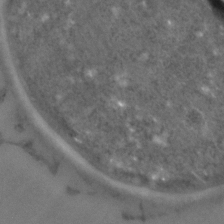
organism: C. elegans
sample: C. elegans embryo